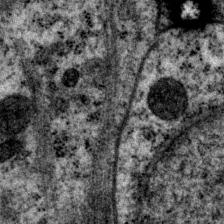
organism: P. pacificus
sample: Pharynx